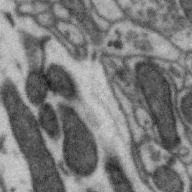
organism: Zebra finch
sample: Brain